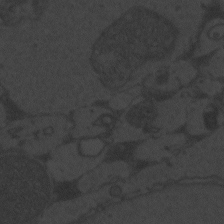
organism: Zebrafish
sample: Macrophage infected with Toxoplasma gondii